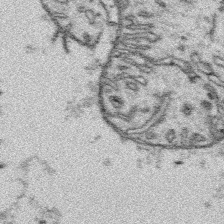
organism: Platynereis dumerilii